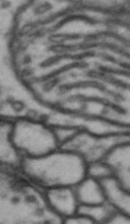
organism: Drosophila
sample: Brain